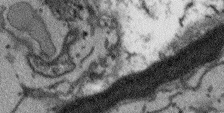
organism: Arabidopsis thaliana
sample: Root tip